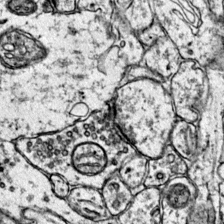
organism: Mouse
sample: Primary visual cortex